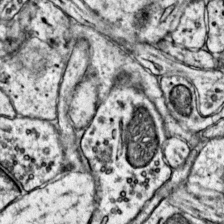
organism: Mouse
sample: Primary visual cortex